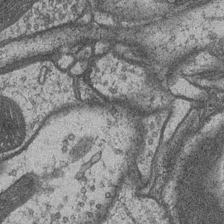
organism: Drosophila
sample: Optic medulla